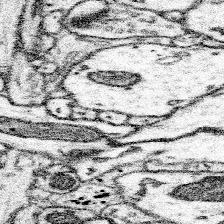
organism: Mouse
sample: Somatosensory cortex neuropil